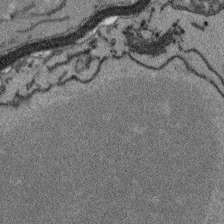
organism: Arabidopsis thaliana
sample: Root tip